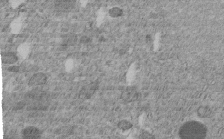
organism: C. elegans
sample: C. elegans embryo early stage